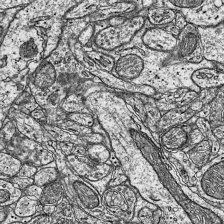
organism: Mouse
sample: Visual Cortex